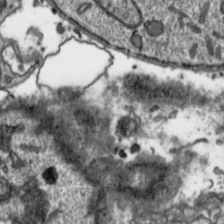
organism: Toxoplasma gondii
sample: Parasites in a vacuole inside a host cell